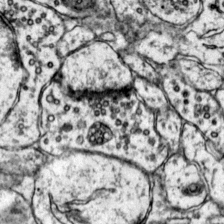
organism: Mouse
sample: Primary visual cortex